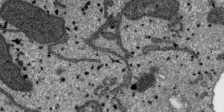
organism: Human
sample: Lung epithelial cells, uninfected (mock) control